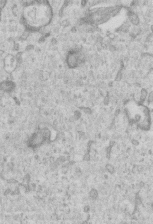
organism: Mouse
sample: Centriole in ependymal cells